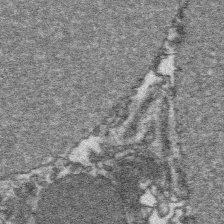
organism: Platynereis dumerilii